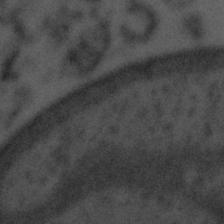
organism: Tuwongella immobilis